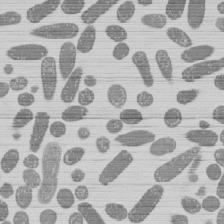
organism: E. coli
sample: Bacterial nucleoid